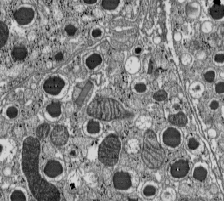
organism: C57BL Mouse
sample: Pancreatic islet